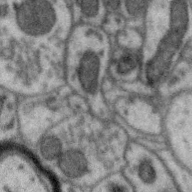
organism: Zebra finch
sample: Brain